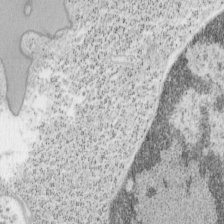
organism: Mouse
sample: OT-I killer T cells with ID8 ovarian cancer cells